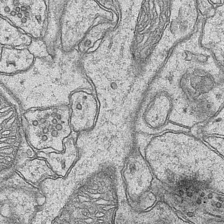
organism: Mouse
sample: CA1 Hippocampus